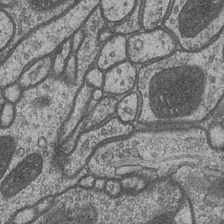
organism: Drosophila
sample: Optic medulla